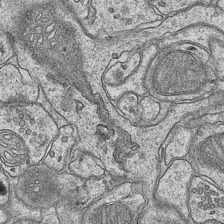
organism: Mouse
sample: CA1 Hippocampus